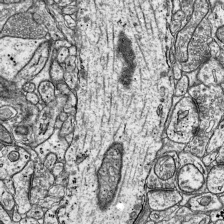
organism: Mouse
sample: Visual Cortex